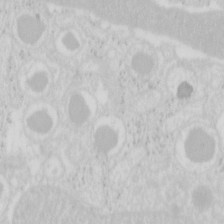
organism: Mouse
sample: Pancreas